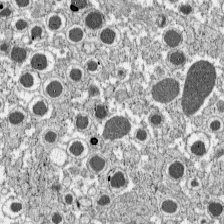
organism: C57BL Mouse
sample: Pancreatic islet